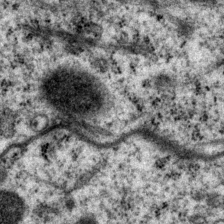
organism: P. pacificus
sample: Pharynx